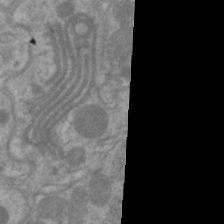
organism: C. elegans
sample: Pharynx